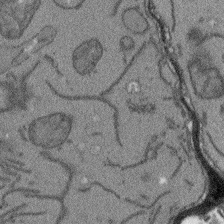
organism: Arabidopsis thaliana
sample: Root tip